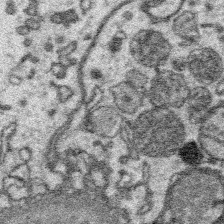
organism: Platynereis dumerilii